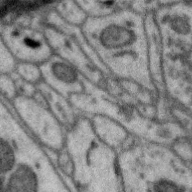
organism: Zebra finch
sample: Brain